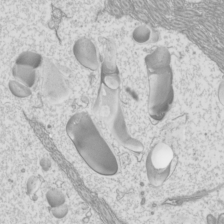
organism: Mouse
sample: Cilia; mouse epididymis